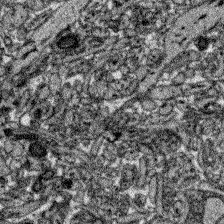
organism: Zebrafish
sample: Larval olfactory bulb